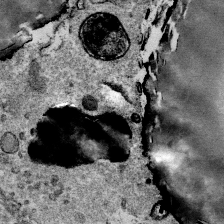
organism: Mouse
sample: Mouse Salivary gland